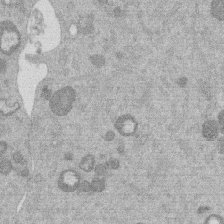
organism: Mouse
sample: Dividing mouse embryo 1 cell stage